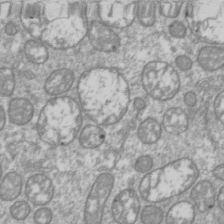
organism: Drosophila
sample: Cell division; meiosis; drosophila spermatocytes